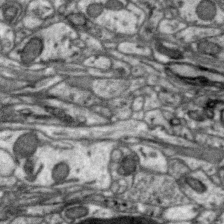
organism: Zebra finch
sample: Brain